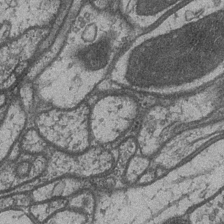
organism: Drosophila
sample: Optic medulla